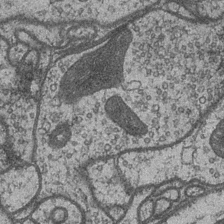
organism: Drosophila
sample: Optic medulla